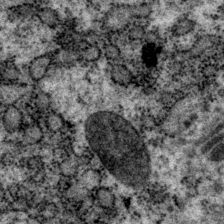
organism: P. pacificus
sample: Pharynx